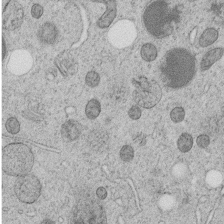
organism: C. elegans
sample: C. elegans embryo early stage